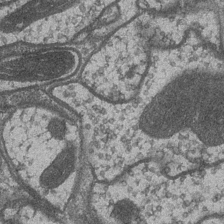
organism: Drosophila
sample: Optic medulla